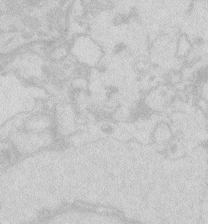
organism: Zebrafish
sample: Macrophage